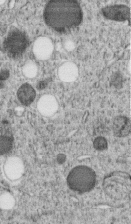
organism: C. elegans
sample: C. elegans embryo early stage